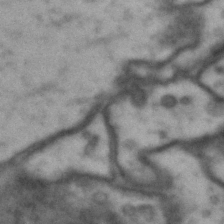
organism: Drosophila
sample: Brain